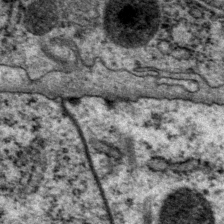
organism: P. pacificus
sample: Pharynx